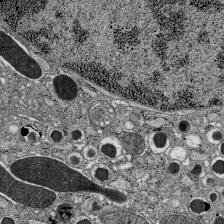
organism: C57BL Mouse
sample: Pancreatic islet